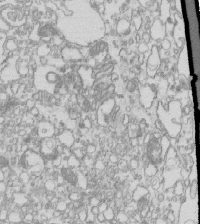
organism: Mouse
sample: Macrophages